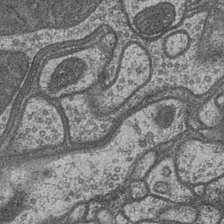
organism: Drosophila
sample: Optic medulla